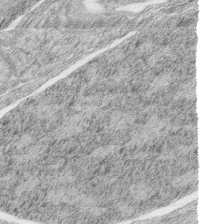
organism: Zebrafish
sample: synaptic ribbons in rod cells and cone cells